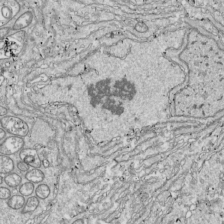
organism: Drosophila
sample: Cell division; meiosis; drosophila spermatocytes